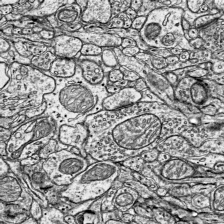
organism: Mouse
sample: Visual Cortex